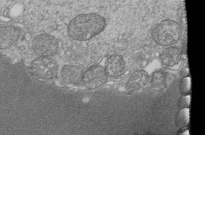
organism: Tetrahymena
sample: Cilia in tetrahymena